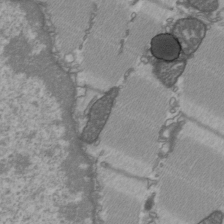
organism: C57BL Mouse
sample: Heart